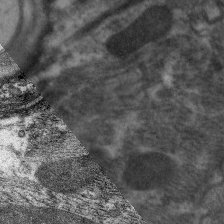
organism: C. elegans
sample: Pharynx